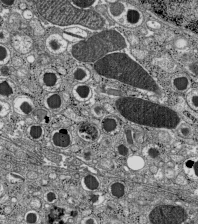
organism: C57BL Mouse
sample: Pancreatic islet